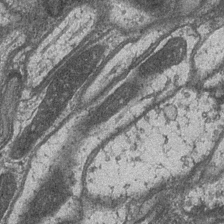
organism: Drosophila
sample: Optic medulla